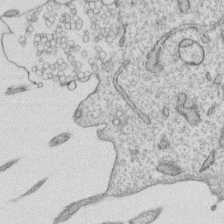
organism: Human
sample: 1205lu cells